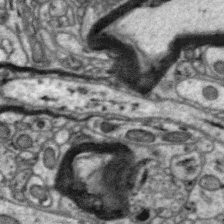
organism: Zebra finch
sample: Brain